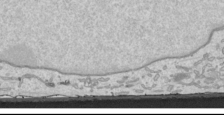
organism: Human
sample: Mitochondria in HCT116 cells